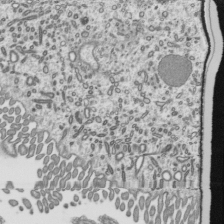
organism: Mouse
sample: Mouse epididymis efferent ductule cilia